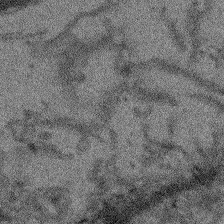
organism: Arabidopsis thaliana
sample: Root tip